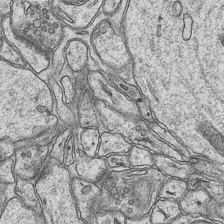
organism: Mouse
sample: CA1 Hippocampus